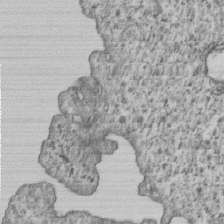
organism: Human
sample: MDA-MB-231 cells